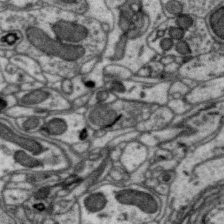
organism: Zebra finch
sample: Brain